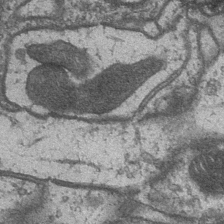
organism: Drosophila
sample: Optic medulla